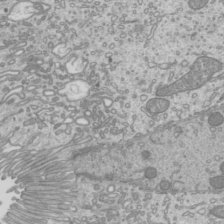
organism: Mouse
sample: Cilia; mouse epididymis